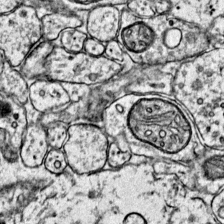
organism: Mouse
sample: Primary visual cortex